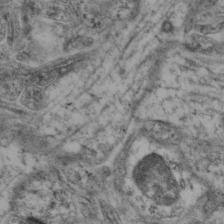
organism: Mouse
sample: Neocortex